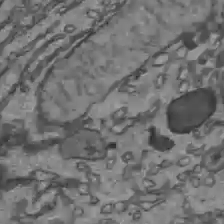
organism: C57BL Mouse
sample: Liver